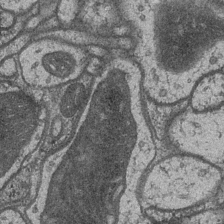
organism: Drosophila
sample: Optic medulla